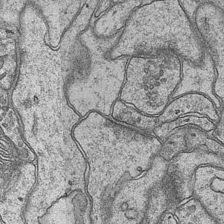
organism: Mouse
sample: CA1 Hippocampus